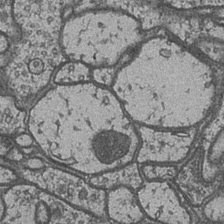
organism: Drosophila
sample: Optic medulla